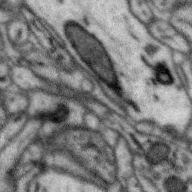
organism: Zebra finch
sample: Brain